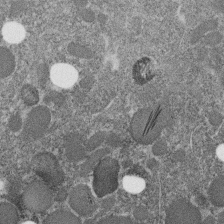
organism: C. elegans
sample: C. elegans embryo early stage